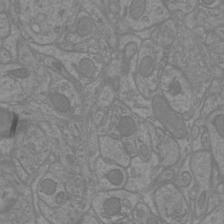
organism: Mouse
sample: Cortical neurons